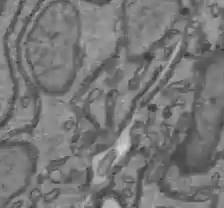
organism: C57BL Mouse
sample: Liver